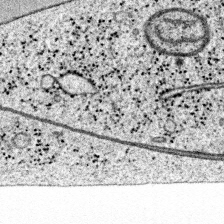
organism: Human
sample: HeLa cells